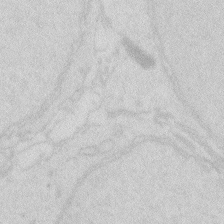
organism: Zebrafish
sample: Macrophage